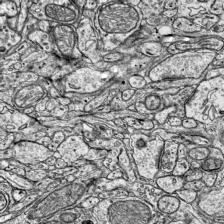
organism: Mouse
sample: Visual Cortex